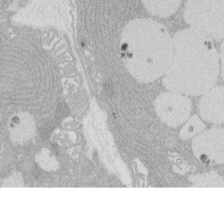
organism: Rat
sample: Salivary granule